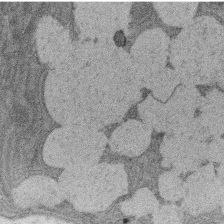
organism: Rat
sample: Salivary granule